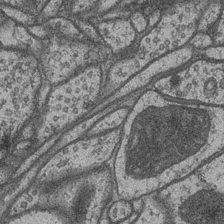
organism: Drosophila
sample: Optic medulla